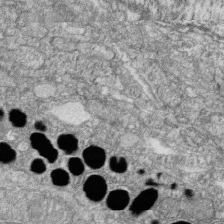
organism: Zebrafish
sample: Cilia; retinal pigment epithelium